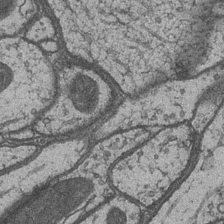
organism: Drosophila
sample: Optic medulla